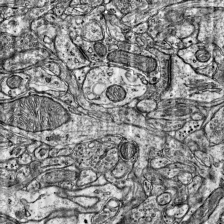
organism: Mouse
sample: Visual Cortex